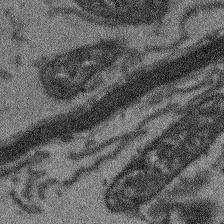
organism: Arabidopsis thaliana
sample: Root tip